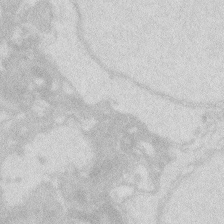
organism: Zebrafish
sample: Macrophage